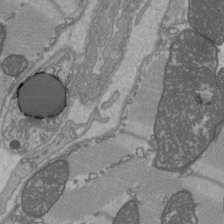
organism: C57BL Mouse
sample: Heart